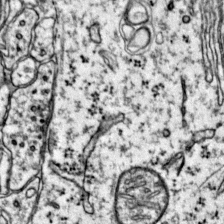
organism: Mouse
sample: Primary visual cortex